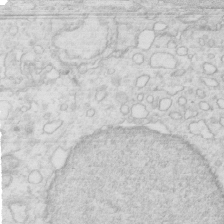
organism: Mouse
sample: Multiciliated cells